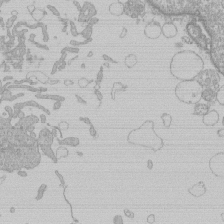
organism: Human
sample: Macrophage cells